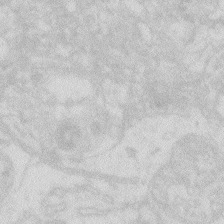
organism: Zebrafish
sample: Macrophage